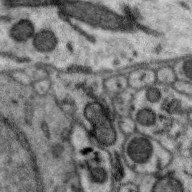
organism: Zebra finch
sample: Brain